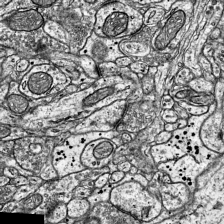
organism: Mouse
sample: Visual Cortex